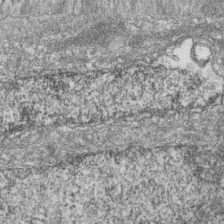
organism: Zebrafish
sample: Cilia; retinal pigment epithelium